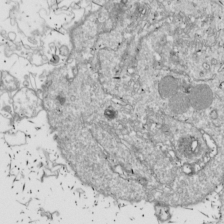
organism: Drosophila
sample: Cell division; meiosis; drosophila spermatocytes